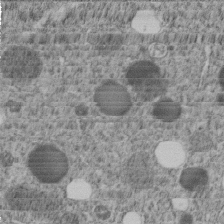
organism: C. elegans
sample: C. elegans embryo early stage